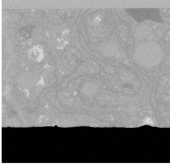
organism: C. elegans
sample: C. elegans oocyte; sperm cells